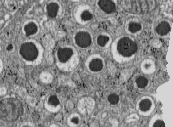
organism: C57BL Mouse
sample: Pancreatic islet